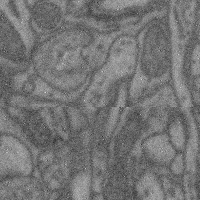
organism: Mouse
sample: Cerebral cortex